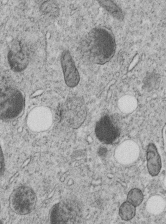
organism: C. elegans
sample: C. elegans embryo early stage